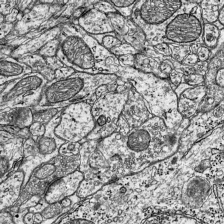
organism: Mouse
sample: Visual Cortex